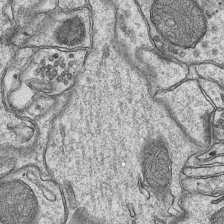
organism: Mouse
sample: CA1 Hippocampus